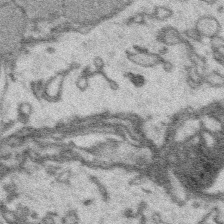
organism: Platynereis dumerilii